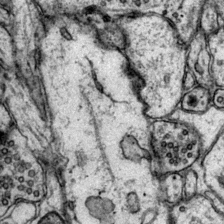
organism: Mouse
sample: Primary visual cortex